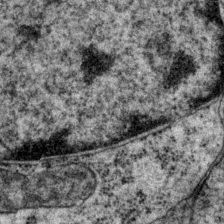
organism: P. pacificus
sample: Pharynx